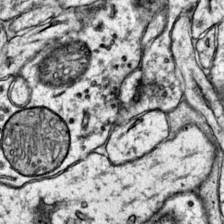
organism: Mouse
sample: Primary visual cortex